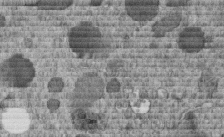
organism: C. elegans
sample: C. elegans embryo early stage